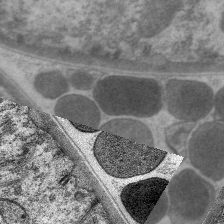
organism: C. elegans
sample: Pharynx